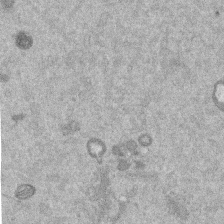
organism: Mouse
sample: Dividing mouse embryo 1 cell stage